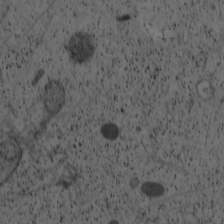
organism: African green monkey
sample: COS-7 cells